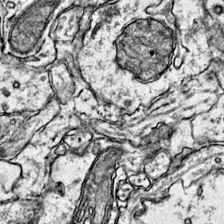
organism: Mouse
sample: Primary visual cortex